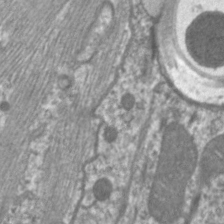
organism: C. elegans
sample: Pharynx